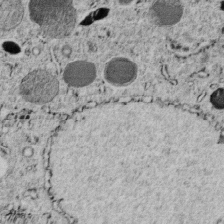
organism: C. elegans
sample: C. elegans embryo early stage